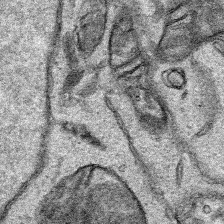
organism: Human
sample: Mitochondria in HCT116 cells